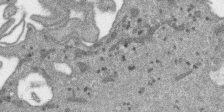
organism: Human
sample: Lung epithelial cells infected with SARS-CoV-2